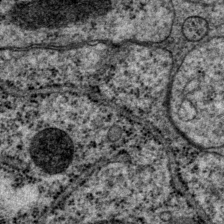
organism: P. pacificus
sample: Pharynx